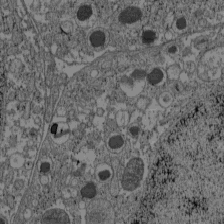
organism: C57BL Mouse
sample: Pancreatic islet